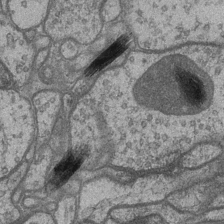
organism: Drosophila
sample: Optic medulla